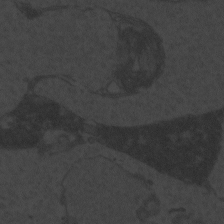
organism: Zebrafish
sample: Macrophage infected with Toxoplasma gondii